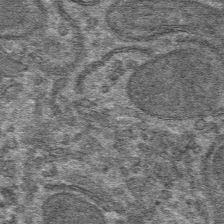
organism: Mouse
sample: Mouse hepatocytes